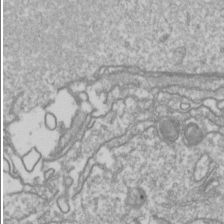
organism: Drosophila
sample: Cell division; meiosis; drosophila spermatocytes